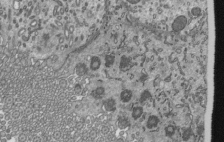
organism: Mouse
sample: Mouse epididymis efferent ductule cilia